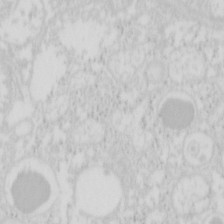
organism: Mouse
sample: Pancreas